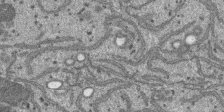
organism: Human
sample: Lung epithelial cells infected with SARS-CoV-2